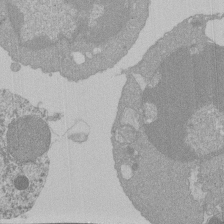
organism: Mouse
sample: Activated Pmel transgenic CD8+ T Cells